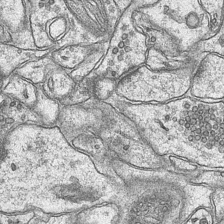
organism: Mouse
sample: CA1 Hippocampus